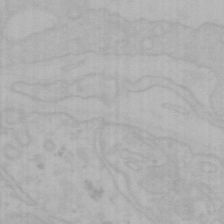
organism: Mouse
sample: Choroid plexus